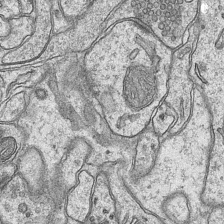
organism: Mouse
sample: CA1 Hippocampus